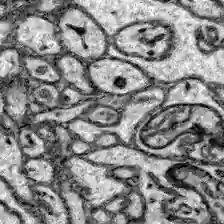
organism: Zebrafish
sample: Brain